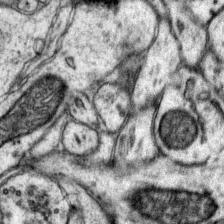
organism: Mouse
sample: Primary visual cortex